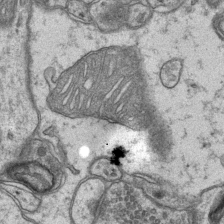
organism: Mouse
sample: CA1 Hippocampus